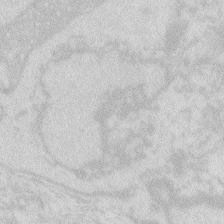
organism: Zebrafish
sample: Macrophage